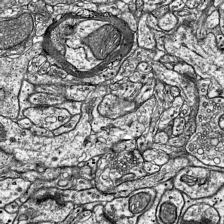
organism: Mouse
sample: Visual Cortex